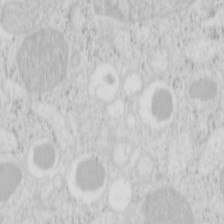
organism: Mouse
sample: Pancreas